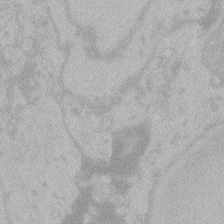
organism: Zebrafish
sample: Macrophage infected with Toxoplasma gondii